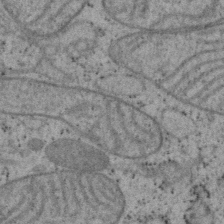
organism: Human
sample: HeLa cells